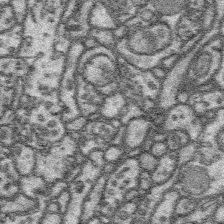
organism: Platynereis dumerilii